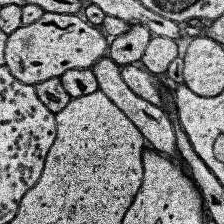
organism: Human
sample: Temporal Lobe